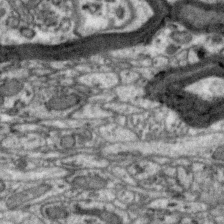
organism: Zebra finch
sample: Brain